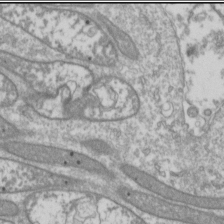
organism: Drosophila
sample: Cell division; meiosis; drosophila spermatocytes